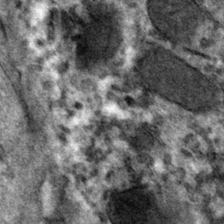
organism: Mouse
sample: Mouse hepatocytes